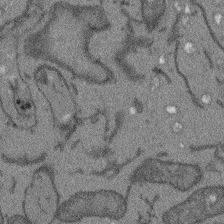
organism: Arabidopsis thaliana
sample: Root tip